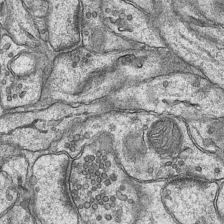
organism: Mouse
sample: CA1 Hippocampus